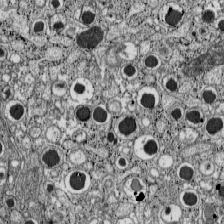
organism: C57BL Mouse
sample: Pancreatic islet